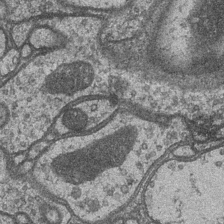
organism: Drosophila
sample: Optic medulla